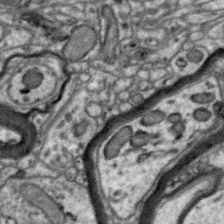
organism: Zebra finch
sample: Brain